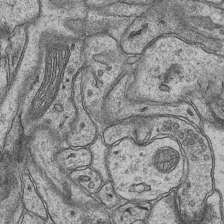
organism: Mouse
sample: CA1 Hippocampus